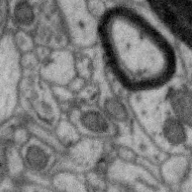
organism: Zebra finch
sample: Brain